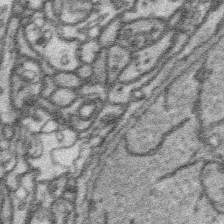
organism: Platynereis dumerilii